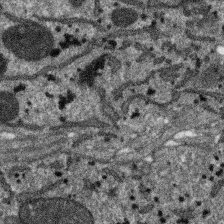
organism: Human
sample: Lung epithelial cells infected with SARS-CoV-2